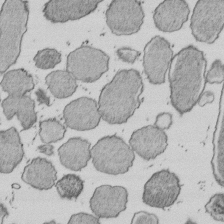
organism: E. coli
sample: Bacterial nucleoid